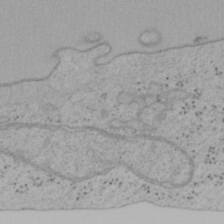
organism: Human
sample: HeLa cells